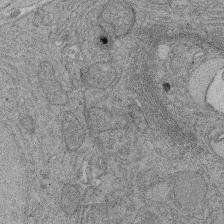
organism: Rat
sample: Salivary granule